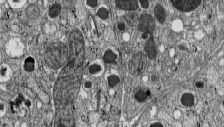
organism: C57BL Mouse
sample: Pancreatic islet